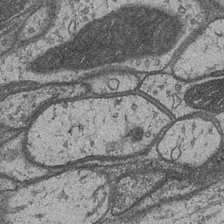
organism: Drosophila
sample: Optic medulla